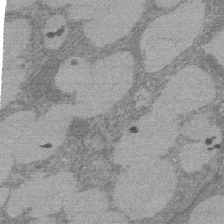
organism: Rat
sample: Salivary granule